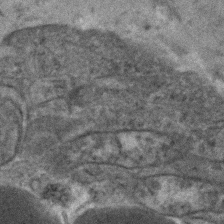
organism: Human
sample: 1205lu cells